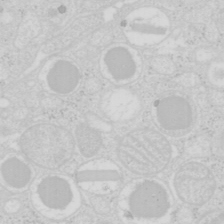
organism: Mouse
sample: Pancreas